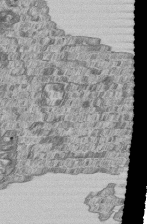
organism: Human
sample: MDA-MB-231 cells